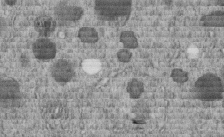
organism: C. elegans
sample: C. elegans embryo early stage